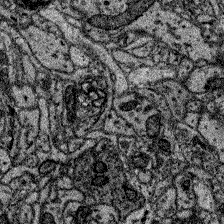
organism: Zebrafish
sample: Larval olfactory bulb